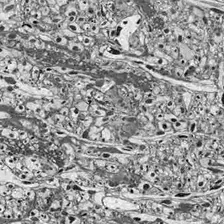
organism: Drosophila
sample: Optic lobe